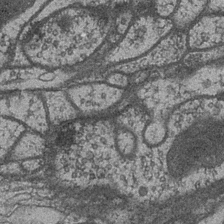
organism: Drosophila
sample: Optic medulla